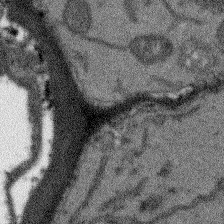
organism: Arabidopsis thaliana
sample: Root tip